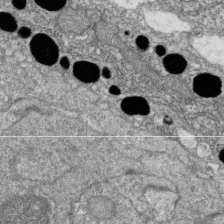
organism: Zebrafish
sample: Cilia; retinal pigment epithelium